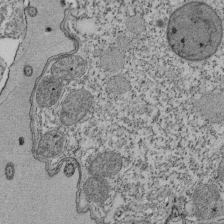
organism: Tetrahymena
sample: Cilia in tetrahymena